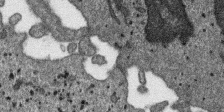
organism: Human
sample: Lung epithelial cells infected with SARS-CoV-2